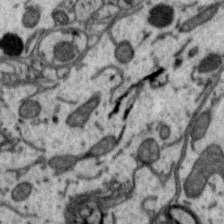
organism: Zebra finch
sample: Brain